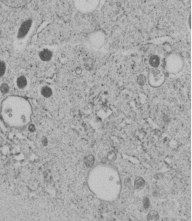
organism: C. elegans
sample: C. elegans embryo early stage